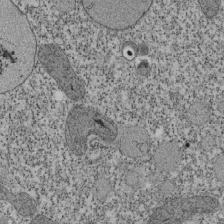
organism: Tetrahymena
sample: Cilia in tetrahymena